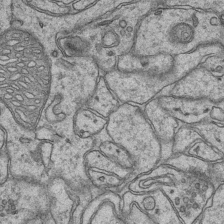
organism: Mouse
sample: CA1 Hippocampus